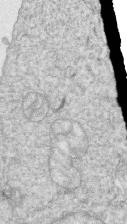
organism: Human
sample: HeLa cell HIV synapse